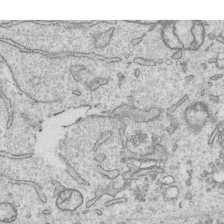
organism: Human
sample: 1205lu cells